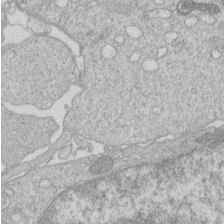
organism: Human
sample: Macrophage cells